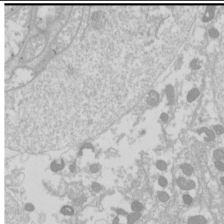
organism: Drosophila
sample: Cell division; meiosis; drosophila spermatocytes